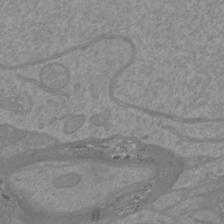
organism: Mouse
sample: Cortical neurons